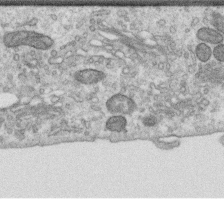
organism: Human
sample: Centriole in RPE cells